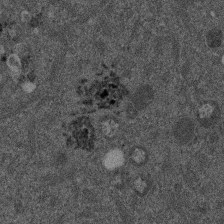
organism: Mouse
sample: Dividing mouse embryo 1 cell stage